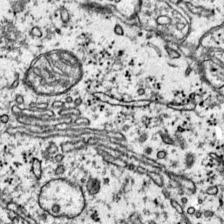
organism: Mouse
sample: Primary visual cortex